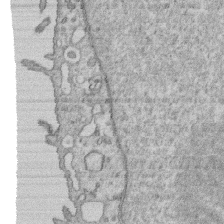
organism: Human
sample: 1205lu cells